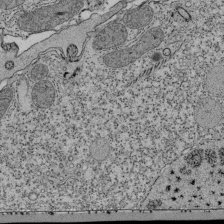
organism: Tetrahymena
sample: Cilia in tetrahymena